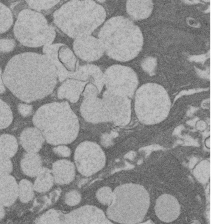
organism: Rat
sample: Salivary granule